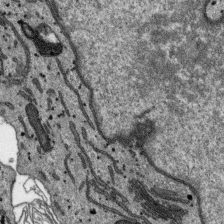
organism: Human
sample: Lung epithelial cells, uninfected (mock) control